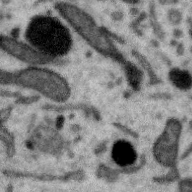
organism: Zebra finch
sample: Brain